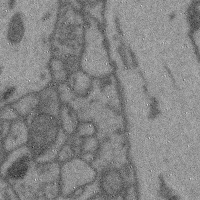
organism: Mouse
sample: Cerebral cortex